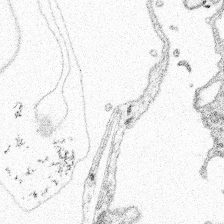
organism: Spongilla lacustris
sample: Multiple